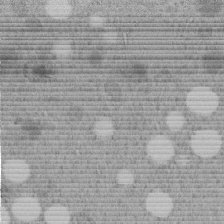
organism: C. elegans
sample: C. elegans embryo early stage